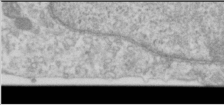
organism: Human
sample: Cilia; basal body in RPE cells